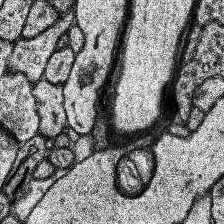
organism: Human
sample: Temporal Lobe